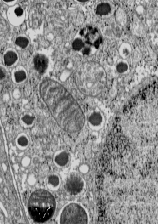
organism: C57BL Mouse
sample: Pancreatic islet